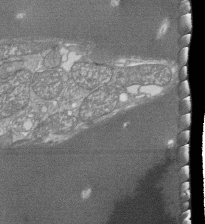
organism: Tetrahymena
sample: Cilia in tetrahymena